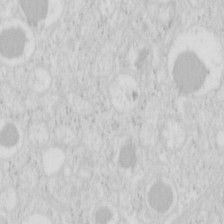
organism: Mouse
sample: Pancreas